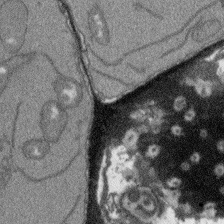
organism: Arabidopsis thaliana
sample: Root tip